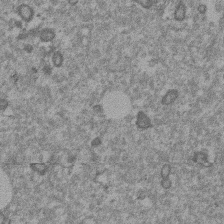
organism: Mouse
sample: Dividing mouse embryo 1 cell stage